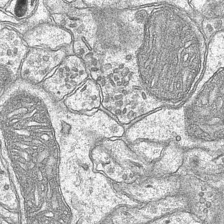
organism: Mouse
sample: CA1 Hippocampus